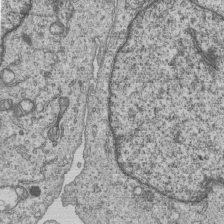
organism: Human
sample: MDA-MB-231 cells